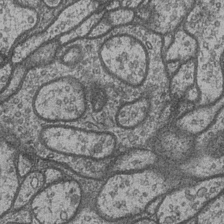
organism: Drosophila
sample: Optic medulla